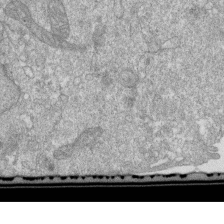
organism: Human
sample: HeLa cell HIV synapse